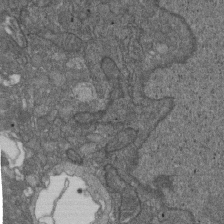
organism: Drosophila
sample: Nephrocyte